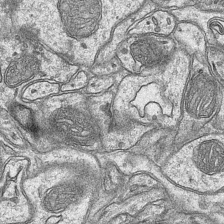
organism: Mouse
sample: CA1 Hippocampus